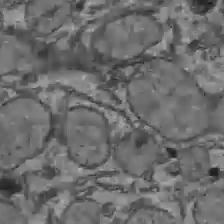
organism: C57BL Mouse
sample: Liver